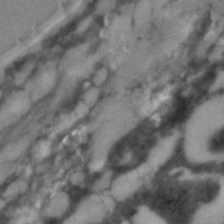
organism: C. elegans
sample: C. elegans embryo